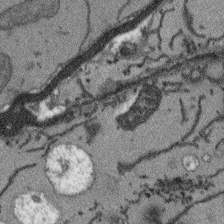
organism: Arabidopsis thaliana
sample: Root tip